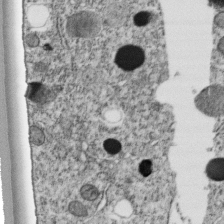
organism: C. elegans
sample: C. elegans embryo early stage